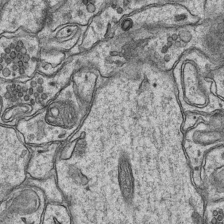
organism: Mouse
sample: CA1 Hippocampus